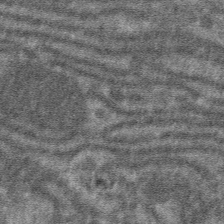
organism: Mouse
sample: Mouse hepatocytes